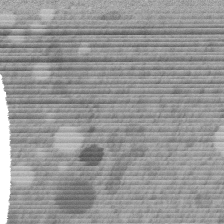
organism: C. elegans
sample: C. elegans embryo early stage